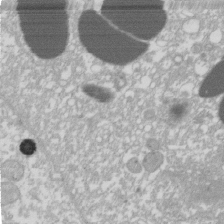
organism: Xenopus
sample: Cilia; centrioles in frog embryo cells